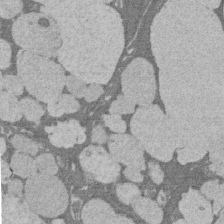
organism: Rat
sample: Salivary granule